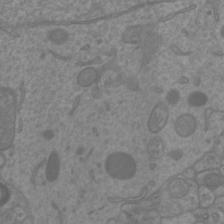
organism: Mouse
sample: Cortical neurons